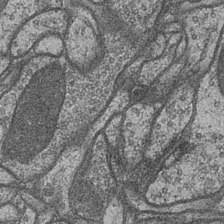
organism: Drosophila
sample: Optic medulla